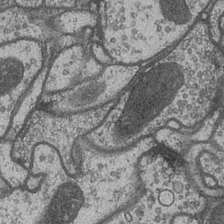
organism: Drosophila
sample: Optic medulla